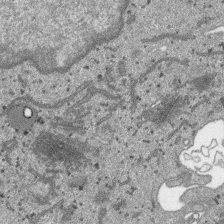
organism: Human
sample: Lung epithelial cells infected with SARS-CoV-2